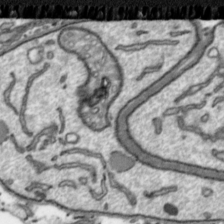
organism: Toxoplasma gondii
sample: Parasites in a vacuole inside a host cell